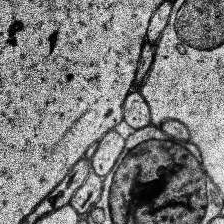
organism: Human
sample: Temporal Lobe